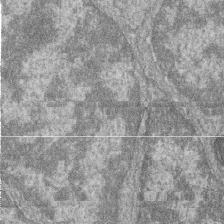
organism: Zebrafish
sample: Cilia; retinal pigment epithelium